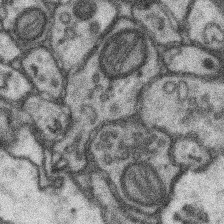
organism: Mouse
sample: Somatosensory cortex neuropil